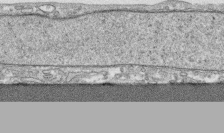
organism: Human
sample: CRL-1474